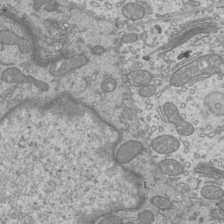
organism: Mouse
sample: Cilia; mouse epididymis